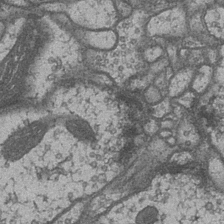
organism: Drosophila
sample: Optic medulla